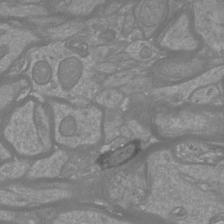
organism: Mouse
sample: Cortical neurons